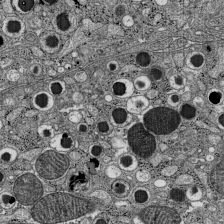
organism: C57BL Mouse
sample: Pancreatic islet